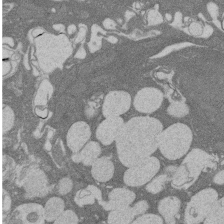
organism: Rat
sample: Salivary granule